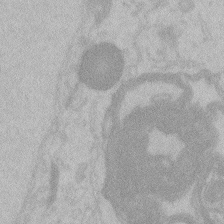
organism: Zebrafish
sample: Macrophage infected with Toxoplasma gondii